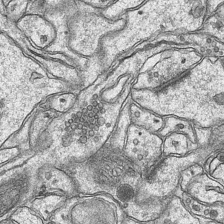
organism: Mouse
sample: CA1 Hippocampus